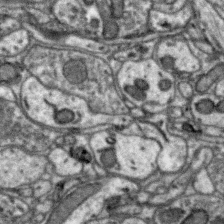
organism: Zebra finch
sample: Brain